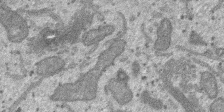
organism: Human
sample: Lung epithelial cells infected with SARS-CoV-2